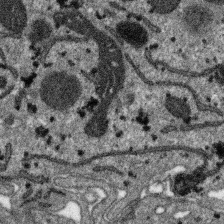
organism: Human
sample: Lung epithelial cells infected with SARS-CoV-2